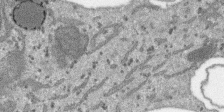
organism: Human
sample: Lung epithelial cells infected with SARS-CoV-2